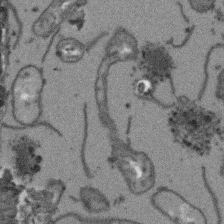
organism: Arabidopsis thaliana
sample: Root tip